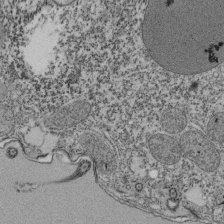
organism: Tetrahymena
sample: Cilia in tetrahymena